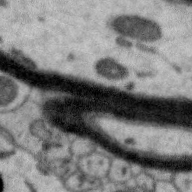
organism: Zebra finch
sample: Brain